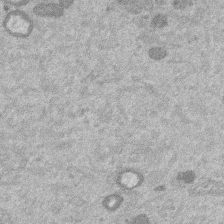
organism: Mouse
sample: Dividing mouse embryo 1 cell stage